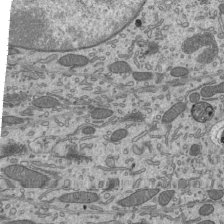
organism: Mouse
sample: Mouse epididymis efferent ductule cilia